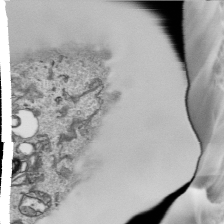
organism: Human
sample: Mitochondria in HCT116 cells